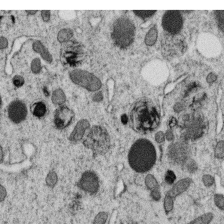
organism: C. elegans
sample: C. elegans oocyte; sperm cells